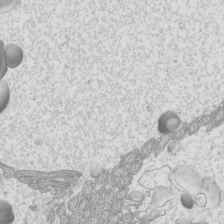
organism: Mouse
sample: Cilia; mouse epididymis